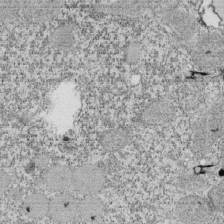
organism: Tetrahymena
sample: Cilia in tetrahymena